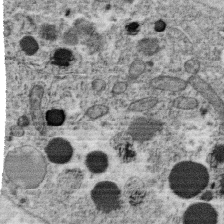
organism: C. elegans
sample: C. elegans oocyte; sperm cells